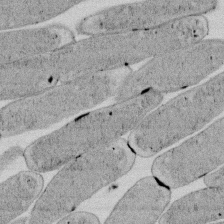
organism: E. coli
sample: Bacterial nucleoid